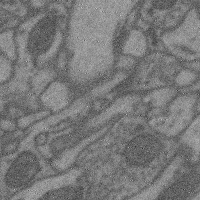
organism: Mouse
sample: Cerebral cortex